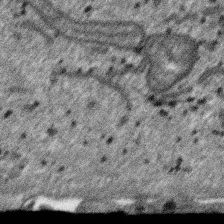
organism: Human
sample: Lung epithelial cells infected with SARS-CoV-2